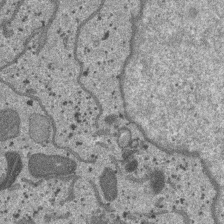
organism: Human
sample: Lung epithelial cells infected with SARS-CoV-2